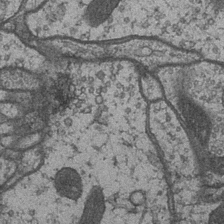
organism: Drosophila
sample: Optic medulla